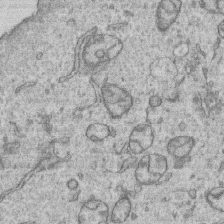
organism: Human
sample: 1205lu cells